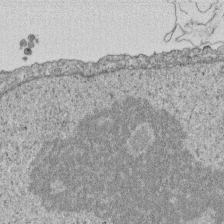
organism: Human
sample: HeLa cell HIV synapse